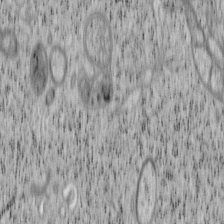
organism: Human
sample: HeLa cells